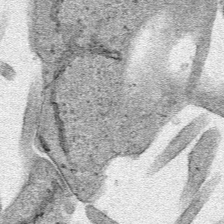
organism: Human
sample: Mitochondria in HCT116 cells